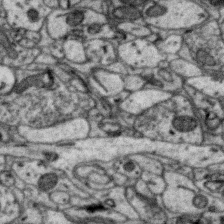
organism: Zebra finch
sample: Brain